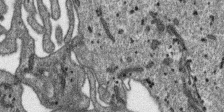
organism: Human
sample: Lung epithelial cells infected with SARS-CoV-2